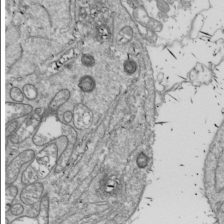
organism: Drosophila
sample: Cell division; meiosis; drosophila spermatocytes